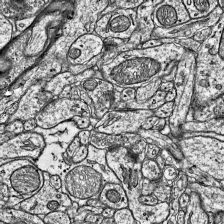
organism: Mouse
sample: Visual Cortex